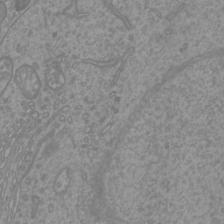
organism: Mouse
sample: Cortical neurons